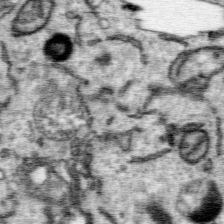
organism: Human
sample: HeLa cells